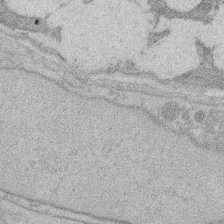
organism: Rat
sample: Salivary granule